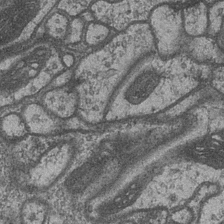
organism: Drosophila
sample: Optic medulla